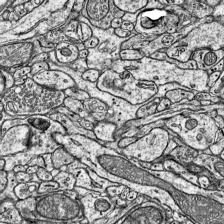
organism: Mouse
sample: Visual Cortex